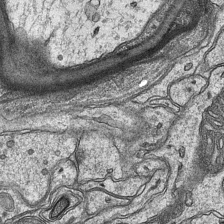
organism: Mouse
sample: CA1 Hippocampus